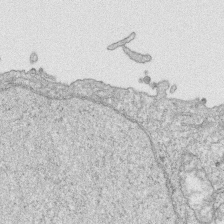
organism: Human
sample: HeLa cell HIV synapse